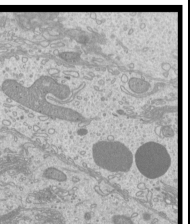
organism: Mouse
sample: Cilia; mouse epididymis